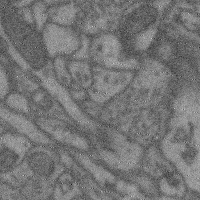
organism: Mouse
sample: Cerebral cortex